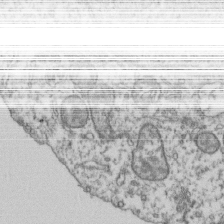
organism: Human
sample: Activated Jurkat CD4+ T cells